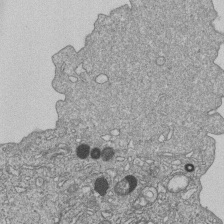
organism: Human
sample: MDA-MB-231 cells